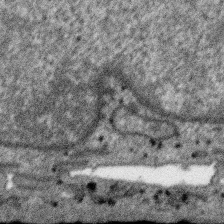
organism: Human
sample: Lung epithelial cells infected with SARS-CoV-2